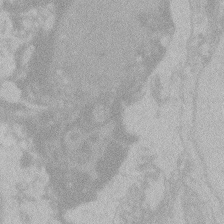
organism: Zebrafish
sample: Macrophage infected with Toxoplasma gondii